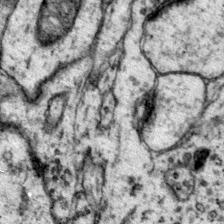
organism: Mouse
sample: Primary visual cortex